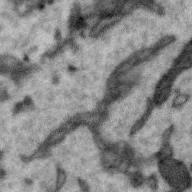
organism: Zebra finch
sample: Brain